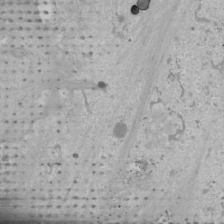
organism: Human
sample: Mitochondria in U2OS cells